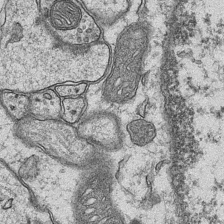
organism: Mouse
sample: CA1 Hippocampus